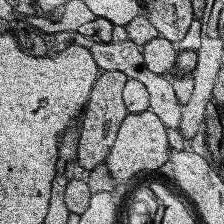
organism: Human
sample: Temporal Lobe